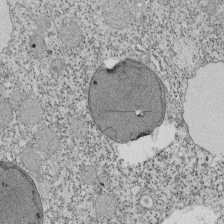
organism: Tetrahymena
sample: Cilia in tetrahymena